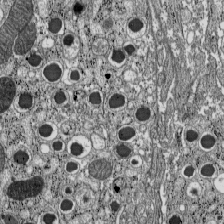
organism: C57BL Mouse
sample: Pancreatic islet